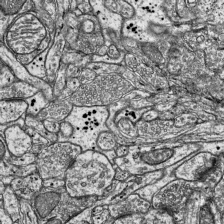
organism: Mouse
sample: Visual Cortex